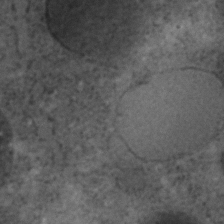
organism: C. elegans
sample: C. elegans embryo